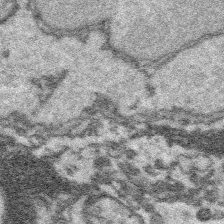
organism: Platynereis dumerilii